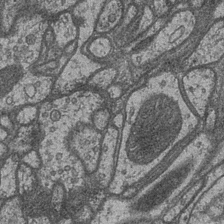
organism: Drosophila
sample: Optic medulla